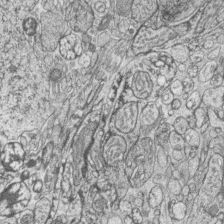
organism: Zebrafish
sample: synaptic ribbons in rod cells and cone cells